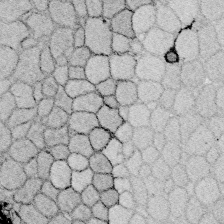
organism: Zebrafish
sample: Whole-Brain